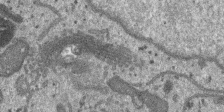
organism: Human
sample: Lung epithelial cells infected with SARS-CoV-2